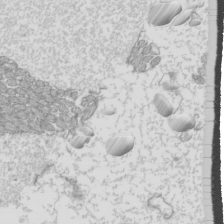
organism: Mouse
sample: Cilia; mouse epididymis